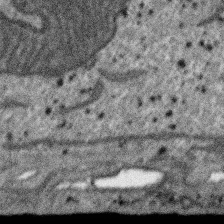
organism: Human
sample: Lung epithelial cells infected with SARS-CoV-2